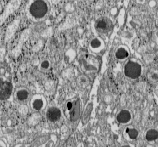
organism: C57BL Mouse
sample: Pancreatic islet